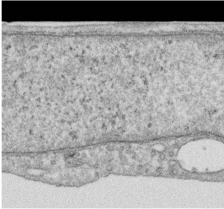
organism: Human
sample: Centriole in RPE cells